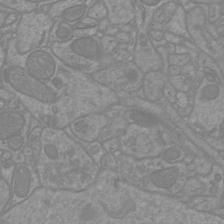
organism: Mouse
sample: Cortical neurons